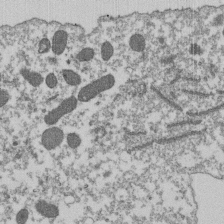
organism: Dictyostelium discoideum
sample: Dictyostelium multivesicular bodies